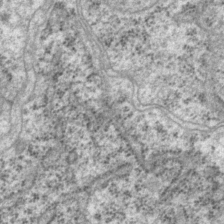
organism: P. pacificus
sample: Pharynx